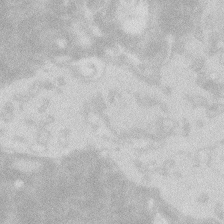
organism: Zebrafish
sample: Macrophage